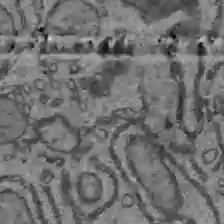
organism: C57BL Mouse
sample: Liver